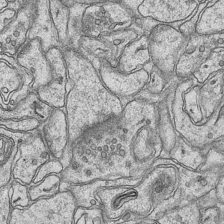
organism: Mouse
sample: CA1 Hippocampus